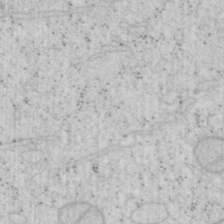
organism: Human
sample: HeLa cells